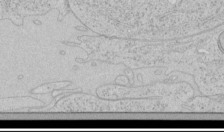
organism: Human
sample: Mitochondria in HCT116 cells